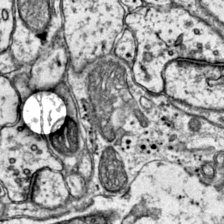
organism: Mouse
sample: Primary visual cortex